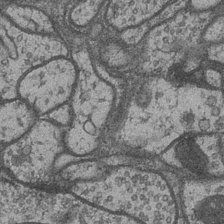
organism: Drosophila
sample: Optic medulla